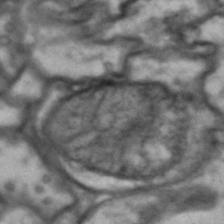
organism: Drosophila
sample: Brain